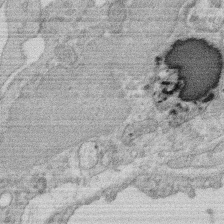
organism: Rat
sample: Salivary granule